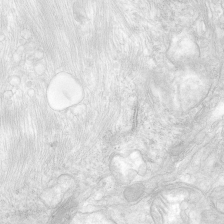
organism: Human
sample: Neocortex